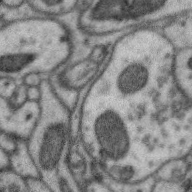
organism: Zebra finch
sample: Brain